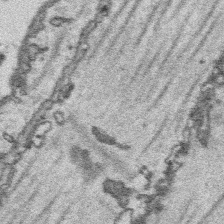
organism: Platynereis dumerilii